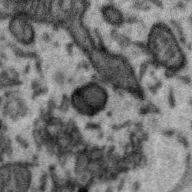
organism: Zebra finch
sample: Brain